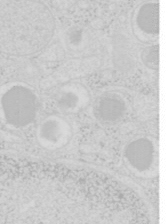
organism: Mouse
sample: Pancreas